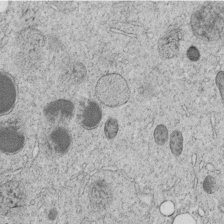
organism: C. elegans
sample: C. elegans embryo early stage